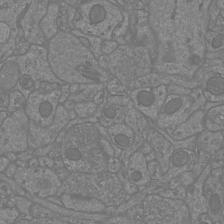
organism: Mouse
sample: Cortical neurons